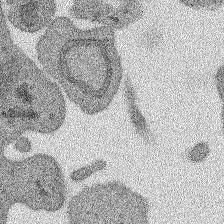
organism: Human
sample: HeLa cells